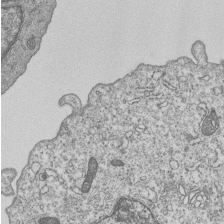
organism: Human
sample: MDA-MB-231 cells